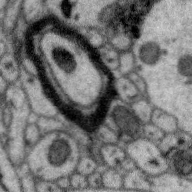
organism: Zebra finch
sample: Brain